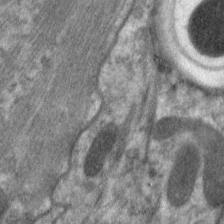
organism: C. elegans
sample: Pharynx